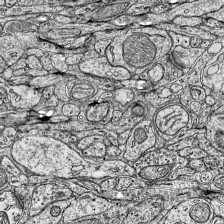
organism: Mouse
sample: Visual Cortex